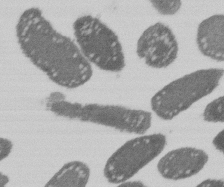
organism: E. coli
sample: Bacterial nucleoid